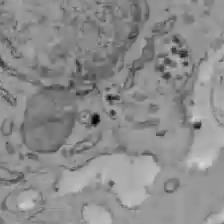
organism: C57BL Mouse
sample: Liver